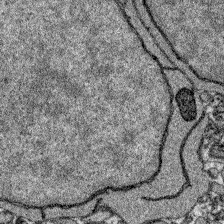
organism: Zebrafish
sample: Larval olfactory bulb